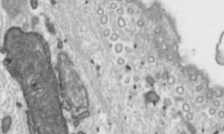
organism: Toxoplasma gondii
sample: Parasites in a vacuole inside a host cell